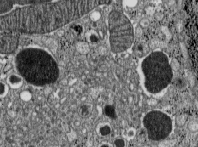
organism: C57BL Mouse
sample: Pancreatic islet